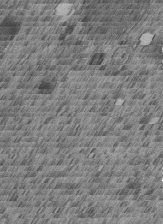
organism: C. elegans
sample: C. elegans embryo early stage